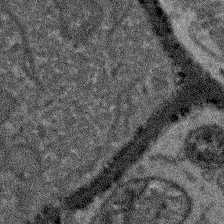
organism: Arabidopsis thaliana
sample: Root tip